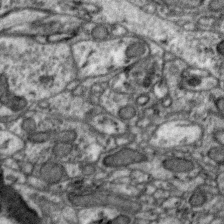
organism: Zebra finch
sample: Brain